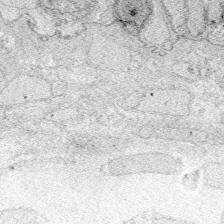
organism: Zebrafish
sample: Whole-Brain